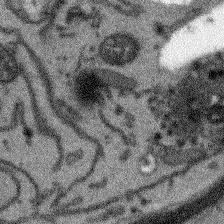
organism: Arabidopsis thaliana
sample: Root tip